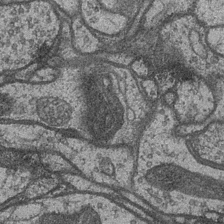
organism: Drosophila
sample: Optic medulla